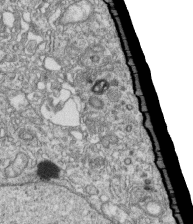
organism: Human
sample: HeLa cell HIV synapse